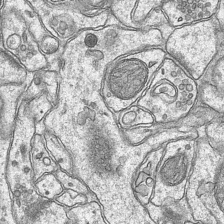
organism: Mouse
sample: CA1 Hippocampus